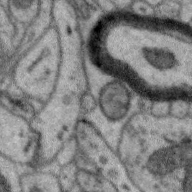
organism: Zebra finch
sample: Brain